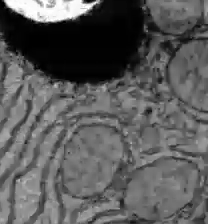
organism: C57BL Mouse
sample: Liver